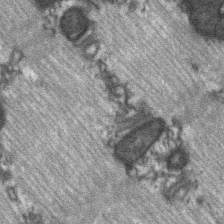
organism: C57BL Mouse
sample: Soleus